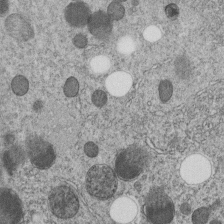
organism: C. elegans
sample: C. elegans embryo early stage